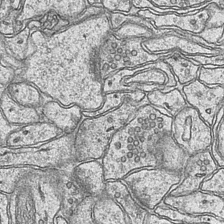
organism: Mouse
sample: CA1 Hippocampus